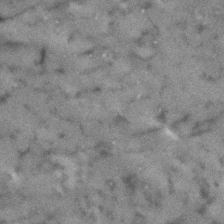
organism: Human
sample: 1205lu cells